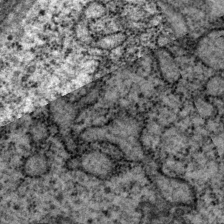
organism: P. pacificus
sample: Pharynx